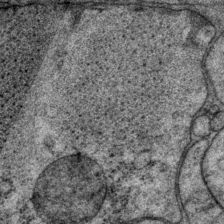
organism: P. pacificus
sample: Pharynx